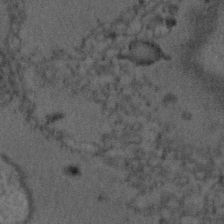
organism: Human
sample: HeLa cells